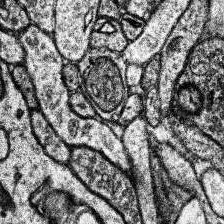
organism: Human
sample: Temporal Lobe